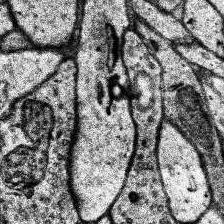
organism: Human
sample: Temporal Lobe